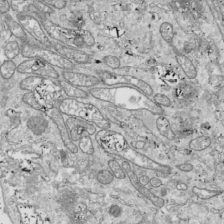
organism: Drosophila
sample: Cell division; meiosis; drosophila spermatocytes